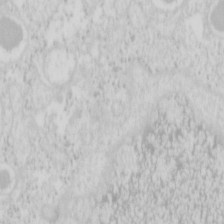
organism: Mouse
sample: Pancreas